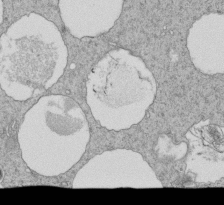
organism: Tetrahymena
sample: Cilia in tetrahymena